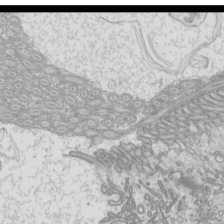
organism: Mouse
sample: Cilia; mouse epididymis